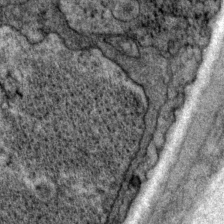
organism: P. pacificus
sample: Pharynx